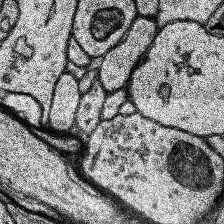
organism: Human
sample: Temporal Lobe